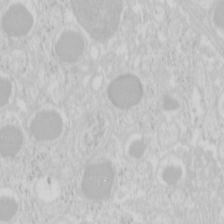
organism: Mouse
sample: Pancreas